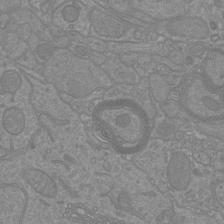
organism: Mouse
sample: Cortical neurons